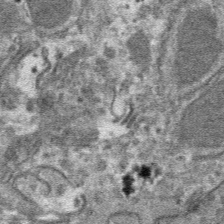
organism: Mouse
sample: Mouse hepatocytes